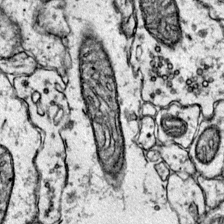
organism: Mouse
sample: Primary visual cortex